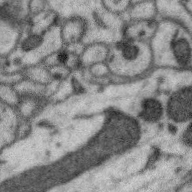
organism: Zebra finch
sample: Brain